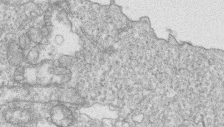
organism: Human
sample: HeLa cell HIV synapse